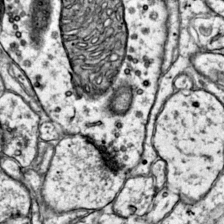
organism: Mouse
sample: Primary visual cortex